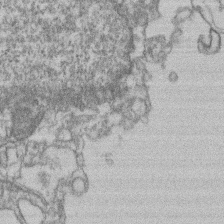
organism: Mouse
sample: T cell stromal cell synapse